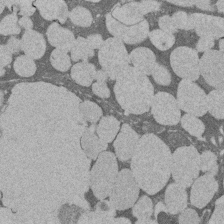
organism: Rat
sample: Salivary granule